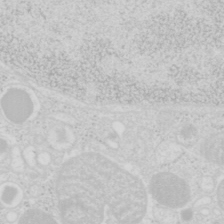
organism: Mouse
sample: Pancreas